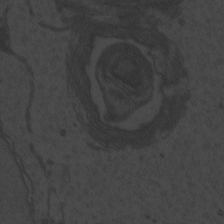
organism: Zebrafish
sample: Macrophage infected with Toxoplasma gondii